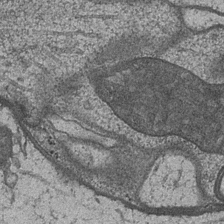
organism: Drosophila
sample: Optic medulla